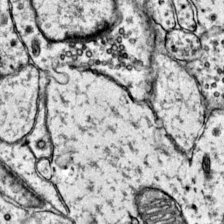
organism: Mouse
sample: Primary visual cortex